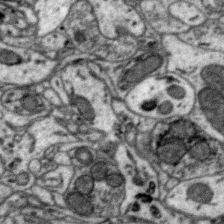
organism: Zebra finch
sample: Brain